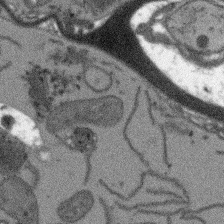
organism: Arabidopsis thaliana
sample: Root tip